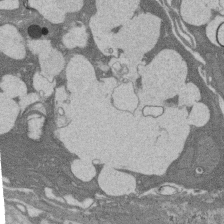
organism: Rat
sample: Salivary granule